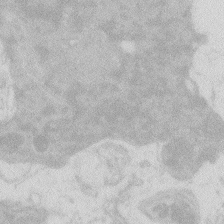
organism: Zebrafish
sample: Macrophage